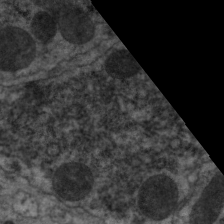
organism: C. elegans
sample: Pharynx